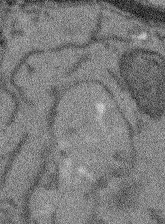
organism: Arabidopsis thaliana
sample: Root tip